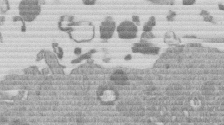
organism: Mouse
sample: Dividing mouse embryo 1 cell stage